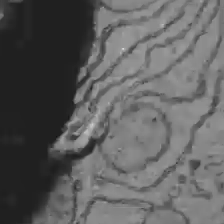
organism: C57BL Mouse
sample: Liver